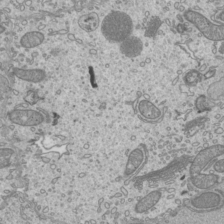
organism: Mouse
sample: Cilia; mouse epididymis